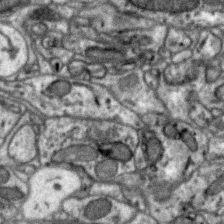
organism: Zebra finch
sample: Brain